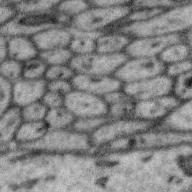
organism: Zebra finch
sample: Brain